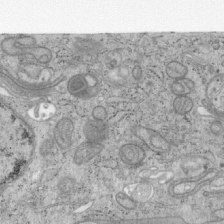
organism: Human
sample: HeLa cells